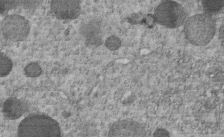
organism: C. elegans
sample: C. elegans embryo early stage